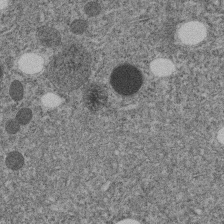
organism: C. elegans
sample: C. elegans embryo early stage